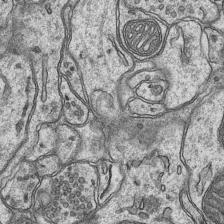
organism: Mouse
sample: CA1 Hippocampus